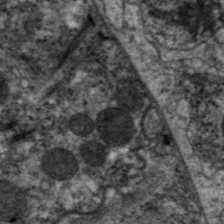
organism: C. elegans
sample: Pharynx